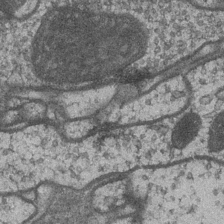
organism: Drosophila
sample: Optic medulla